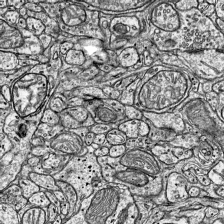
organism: Mouse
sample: Visual Cortex